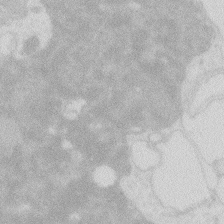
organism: Zebrafish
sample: Macrophage